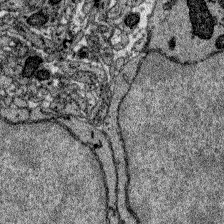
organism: Zebrafish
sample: Larval olfactory bulb